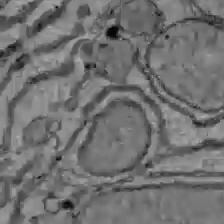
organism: C57BL Mouse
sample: Liver